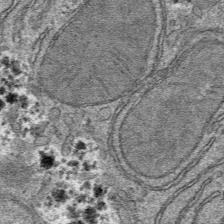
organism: Mouse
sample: Mouse hepatocytes